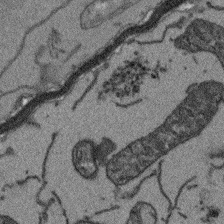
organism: Arabidopsis thaliana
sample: Root tip